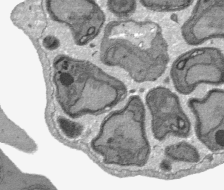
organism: Plasmodium falciparum